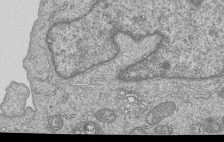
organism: Human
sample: MDA-MB-231 cells